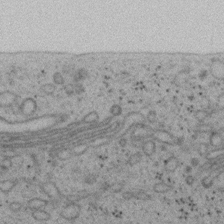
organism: Human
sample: HeLa cells